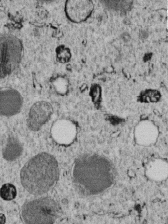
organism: C. elegans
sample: C. elegans embryo early stage